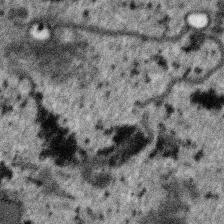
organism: Human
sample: Lung epithelial cells infected with SARS-CoV-2